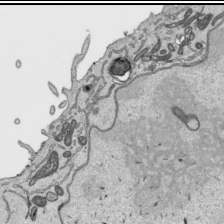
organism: Human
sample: Mitochondria in HCT116 cells